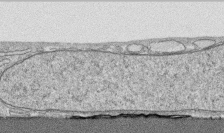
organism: Human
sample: CRL-1474